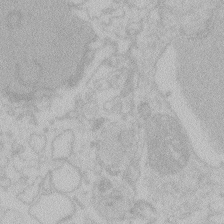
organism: Zebrafish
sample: Macrophage infected with Toxoplasma gondii